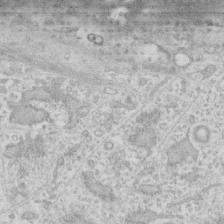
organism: Human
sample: Fibroblast cells